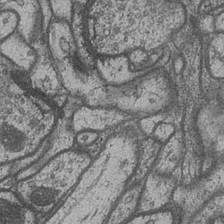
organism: Drosophila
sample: Optic medulla